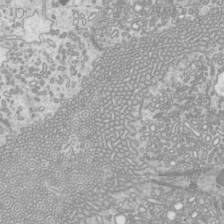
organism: Mouse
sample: Cilia; mouse epididymis